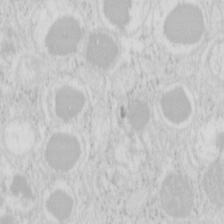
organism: Mouse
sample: Pancreas